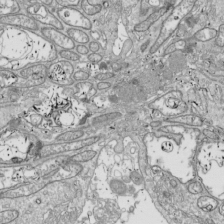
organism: Drosophila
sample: Cell division; meiosis; drosophila spermatocytes